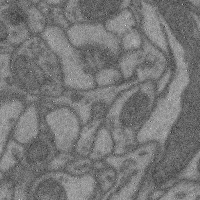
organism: Mouse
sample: Cerebral cortex